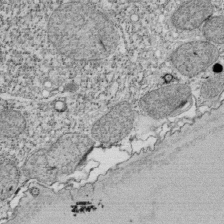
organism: Tetrahymena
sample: Cilia in tetrahymena